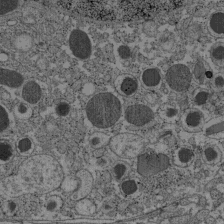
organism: C57BL Mouse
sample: Pancreatic islet